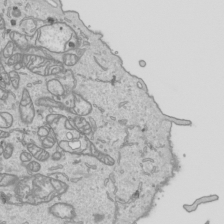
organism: Human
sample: Mitochondria in HCT116 cells